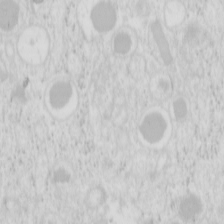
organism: Mouse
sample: Pancreas